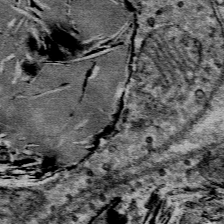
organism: Mouse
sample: Mouse Salivary gland